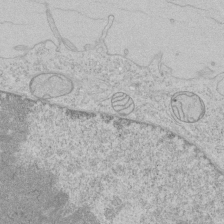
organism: Human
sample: Mitochondria in HCT116 cells